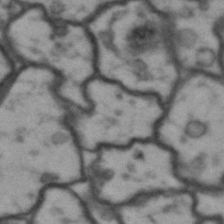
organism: Drosophila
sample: Brain